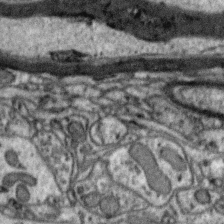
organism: Zebra finch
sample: Brain